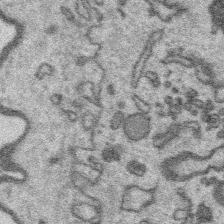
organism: Platynereis dumerilii